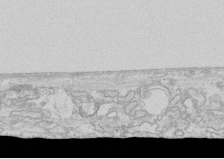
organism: Human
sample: CRL-1474